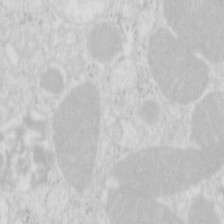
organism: Mouse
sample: Pancreas